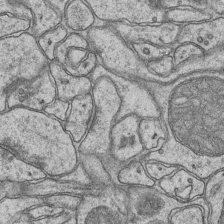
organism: Mouse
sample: CA1 Hippocampus